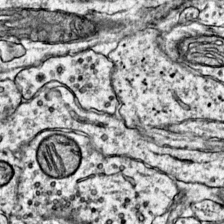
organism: Mouse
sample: Primary visual cortex